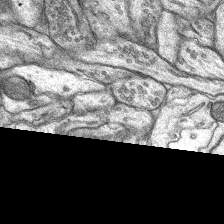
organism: Rat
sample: Hippocampus